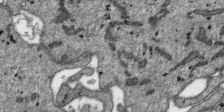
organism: Human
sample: Lung epithelial cells, uninfected (mock) control